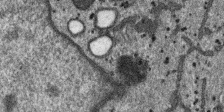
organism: Human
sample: Lung epithelial cells infected with SARS-CoV-2